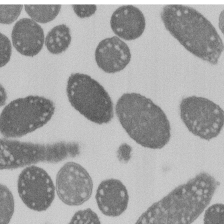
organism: E. coli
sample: Bacterial nucleoid